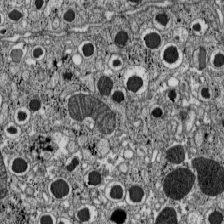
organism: C57BL Mouse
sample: Pancreatic islet